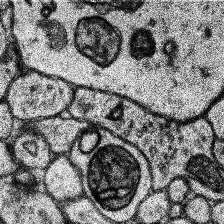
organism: Human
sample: Temporal Lobe